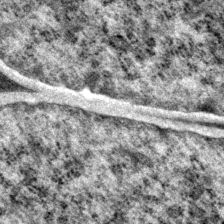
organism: P. pacificus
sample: Pharynx